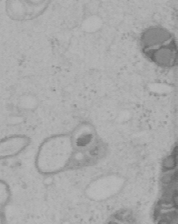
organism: Mouse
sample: OT-I killer T cells with ID8 ovarian cancer cells